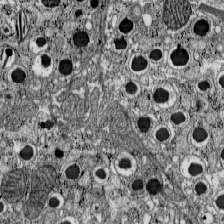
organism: C57BL Mouse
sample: Pancreatic islet